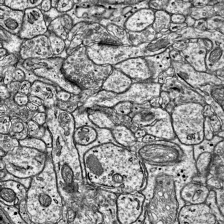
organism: Mouse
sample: Visual Cortex